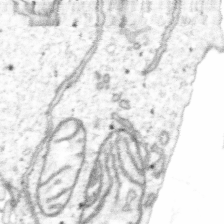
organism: Human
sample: HeLa cells